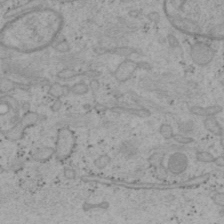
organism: Human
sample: HeLa cells